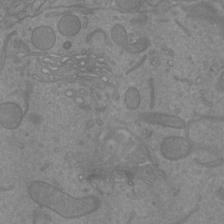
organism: Mouse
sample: Cortical neurons